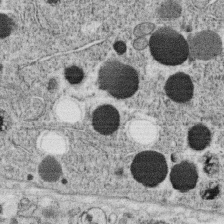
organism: C. elegans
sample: C. elegans oocyte; sperm cells